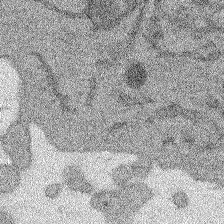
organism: Human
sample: HeLa cells